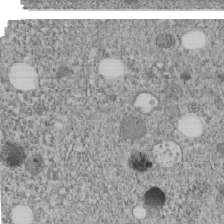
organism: C. elegans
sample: C. elegans embryo early stage